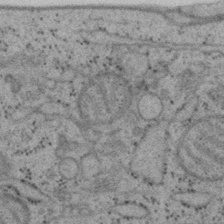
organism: Human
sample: HeLa cells